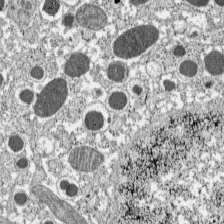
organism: C57BL Mouse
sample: Pancreatic islet